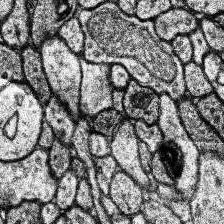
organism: Human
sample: Temporal Lobe